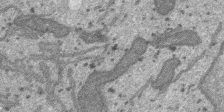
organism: Human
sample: Lung epithelial cells infected with SARS-CoV-2